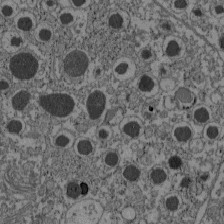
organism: C57BL Mouse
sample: Pancreatic islet